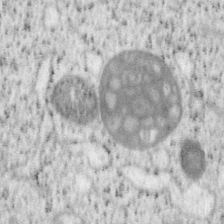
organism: Mouse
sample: OT-I killer T cells with ID8 ovarian cancer cells